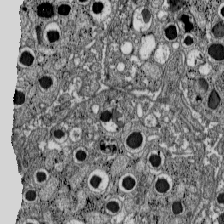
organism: C57BL Mouse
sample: Pancreatic islet